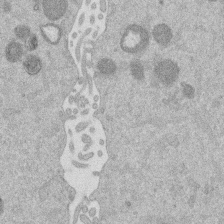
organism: Mouse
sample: Dividing mouse embryo 1 cell stage